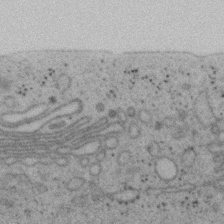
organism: Human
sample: HeLa cells